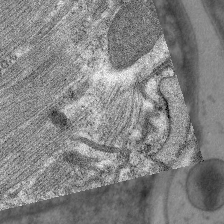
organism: C. elegans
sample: Pharynx